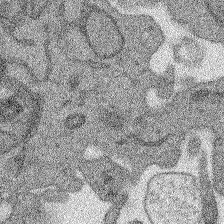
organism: Human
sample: HeLa cells